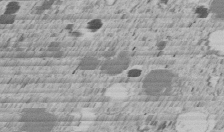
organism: C. elegans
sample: C. elegans embryo early stage